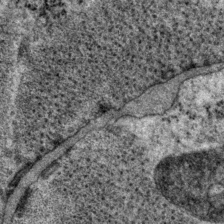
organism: P. pacificus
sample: Pharynx